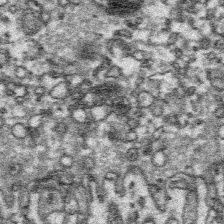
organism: Platynereis dumerilii